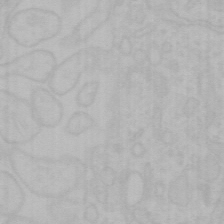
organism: Mouse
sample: Choroid plexus